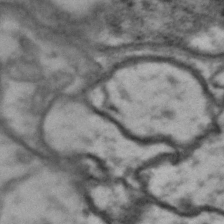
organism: Drosophila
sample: Brain